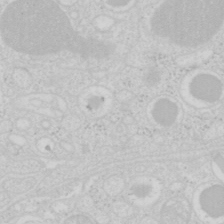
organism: Mouse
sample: Pancreas